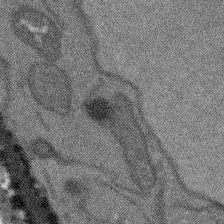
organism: Arabidopsis thaliana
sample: Root tip